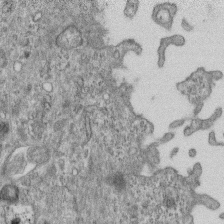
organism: Mouse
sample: Centriole in ependymal cells